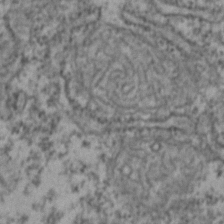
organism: Zebrafish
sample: Zebrafish embryo